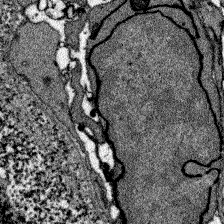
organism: Zebrafish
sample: Larval olfactory bulb